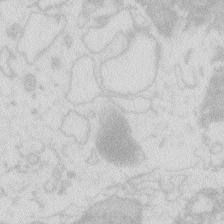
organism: Zebrafish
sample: Macrophage